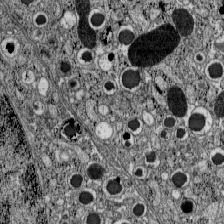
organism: C57BL Mouse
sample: Pancreatic islet